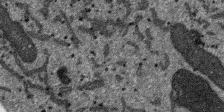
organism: Human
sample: Lung epithelial cells infected with SARS-CoV-2